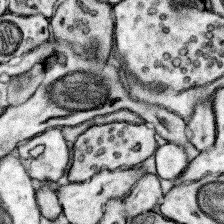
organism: Mouse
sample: Somatosensory cortex neuropil